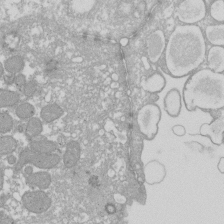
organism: Xenopus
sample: Cilia; centrioles in frog embryo cells